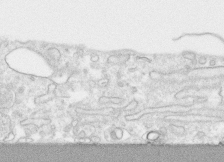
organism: Human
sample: CRL-1474